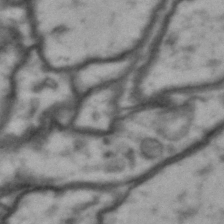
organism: Drosophila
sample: Brain